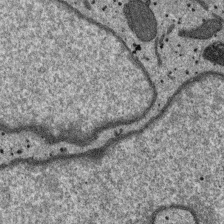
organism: Human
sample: Lung epithelial cells, uninfected (mock) control